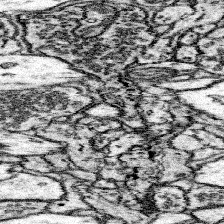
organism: Mouse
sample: Somatosensory cortex neuropil